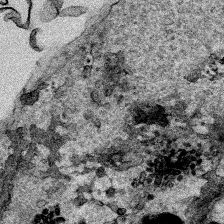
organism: Human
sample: Mitochondria in HCT116 cells